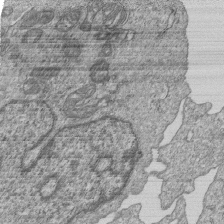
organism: Human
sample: MDA-MB-231 cells